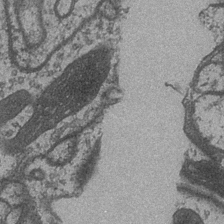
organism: Drosophila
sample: Optic medulla